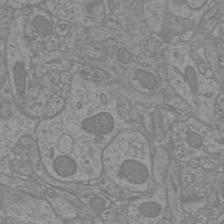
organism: Mouse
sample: Cortical neurons